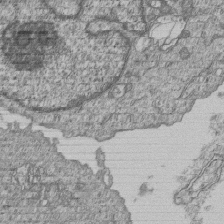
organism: Human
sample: MDA-MB-231 cells